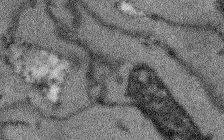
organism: Arabidopsis thaliana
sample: Root tip